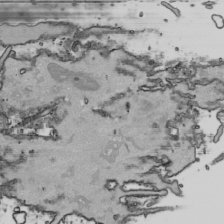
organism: Human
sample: Mitochondria in HCT116 cells